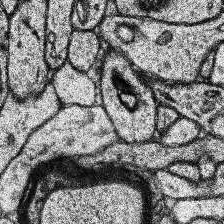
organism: Human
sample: Temporal Lobe